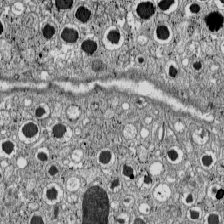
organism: C57BL Mouse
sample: Pancreatic islet